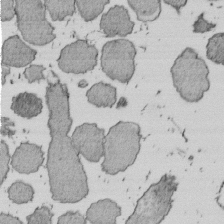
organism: E. coli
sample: Bacterial nucleoid